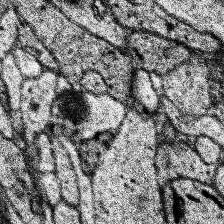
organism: Human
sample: Temporal Lobe